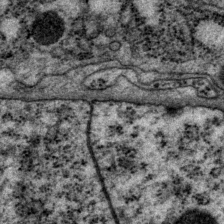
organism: P. pacificus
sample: Pharynx